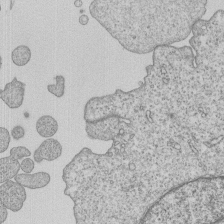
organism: Human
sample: MDA-MB-231 cells